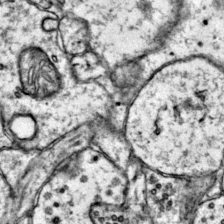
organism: Mouse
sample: Primary visual cortex